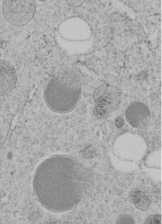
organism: C. elegans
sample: C. elegans embryo early stage